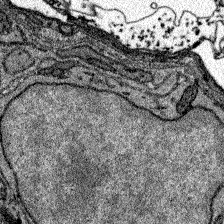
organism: Zebrafish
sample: Larval olfactory bulb